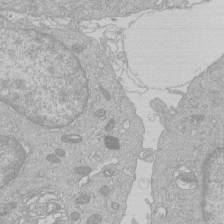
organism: Human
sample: Macrophage cells